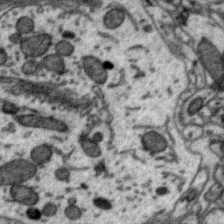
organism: Zebra finch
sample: Brain